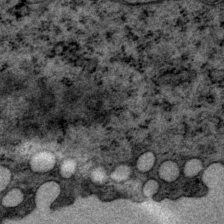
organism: P. pacificus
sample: Pharynx